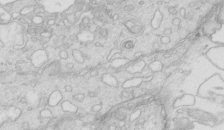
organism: Mouse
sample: Multiciliated cells